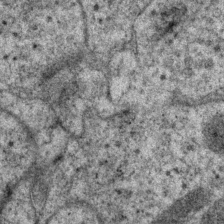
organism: P. pacificus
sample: Pharynx